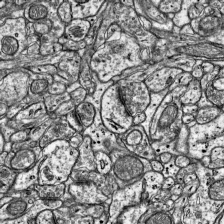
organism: Mouse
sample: Visual Cortex